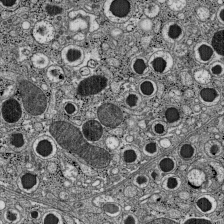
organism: C57BL Mouse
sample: Pancreatic islet